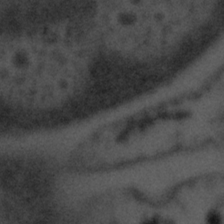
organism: Tuwongella immobilis